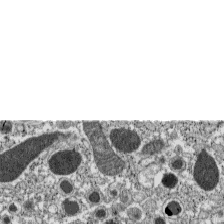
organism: C57BL Mouse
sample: Pancreatic islet